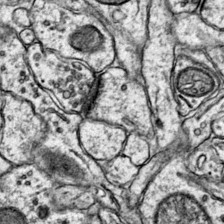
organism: Mouse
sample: Primary visual cortex